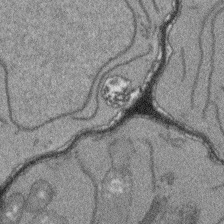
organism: Arabidopsis thaliana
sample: Root tip